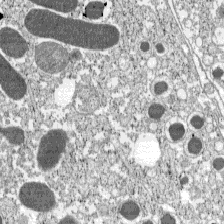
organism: C57BL Mouse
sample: Pancreatic islet